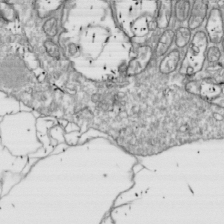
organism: Drosophila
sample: Cell division; meiosis; drosophila spermatocytes